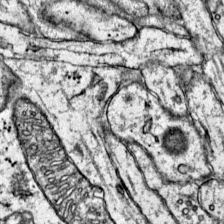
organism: Mouse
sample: Primary visual cortex